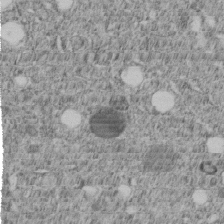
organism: C. elegans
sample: C. elegans embryo early stage